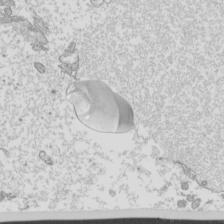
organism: Mouse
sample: Cilia; mouse epididymis